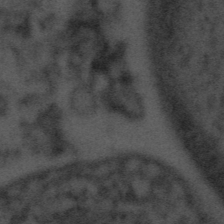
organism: Tuwongella immobilis